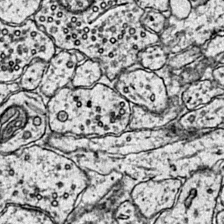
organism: Mouse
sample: Primary visual cortex